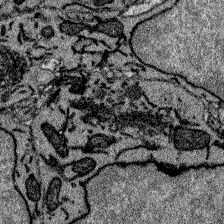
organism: Zebrafish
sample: Larval olfactory bulb